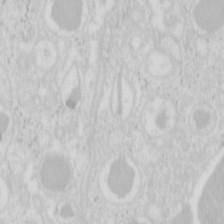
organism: Mouse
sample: Pancreas